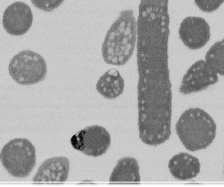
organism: E. coli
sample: Bacterial nucleoid